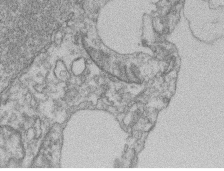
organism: Mouse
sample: T cell stromal cell synapse